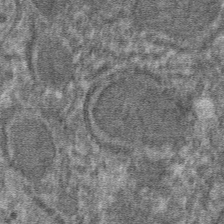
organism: Mouse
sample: Mouse hepatocytes